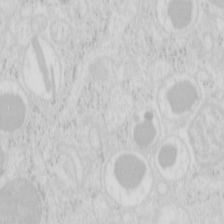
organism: Mouse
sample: Pancreas